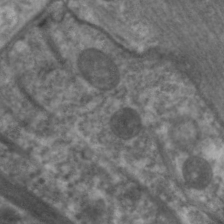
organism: C. elegans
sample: Pharynx